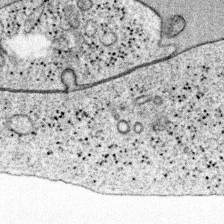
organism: Human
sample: HeLa cells